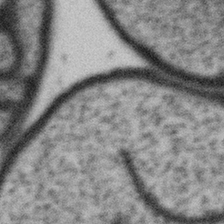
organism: Gemmata obscuriglobus